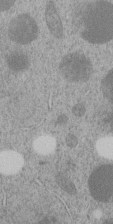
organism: C. elegans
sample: C. elegans embryo early stage